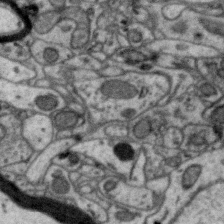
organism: Zebra finch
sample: Brain